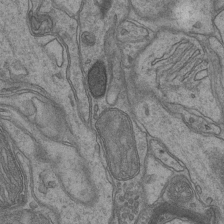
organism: Mouse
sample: CA1 Hippocampus